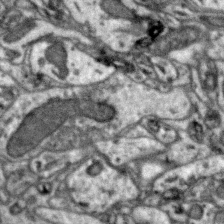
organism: Zebra finch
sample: Brain